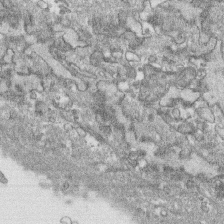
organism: Human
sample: CRL-1474